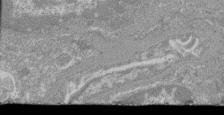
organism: Mouse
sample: Glomerulus